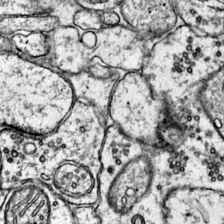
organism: Mouse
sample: Primary visual cortex